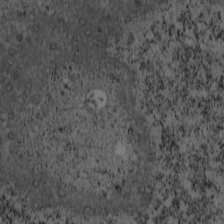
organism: African green monkey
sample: COS-7 cells